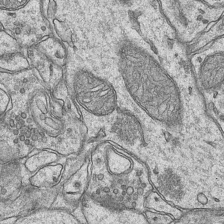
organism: Mouse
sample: CA1 Hippocampus